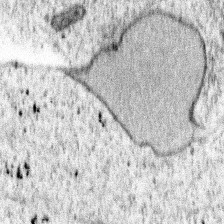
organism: Human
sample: HeLa cells